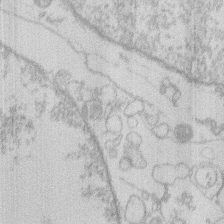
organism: Human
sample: Macrophage cells